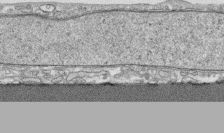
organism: Human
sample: CRL-1474